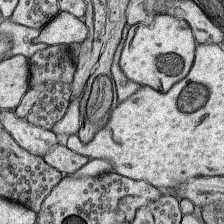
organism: Rat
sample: Hippocampus